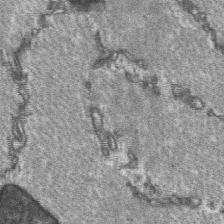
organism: C57BL Mouse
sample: Soleus